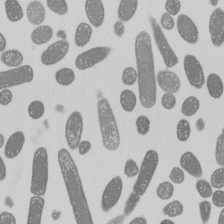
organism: E. coli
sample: Bacterial nucleoid